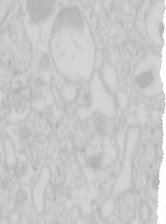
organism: Mouse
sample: Pancreas